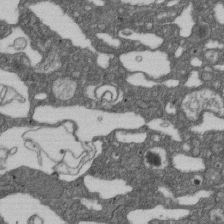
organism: Drosophila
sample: Nephrocyte